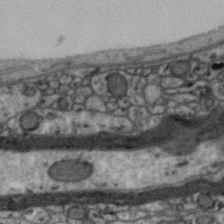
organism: Zebra finch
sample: Brain